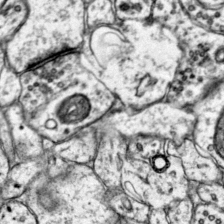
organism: Mouse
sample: Primary visual cortex